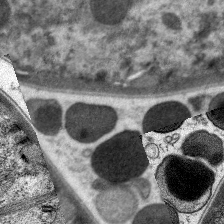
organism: C. elegans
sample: Pharynx